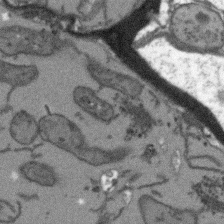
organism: Arabidopsis thaliana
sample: Root tip